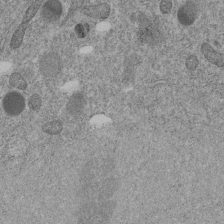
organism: C. elegans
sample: C. elegans embryo early stage